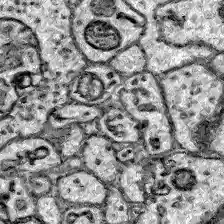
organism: Zebrafish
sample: Brain